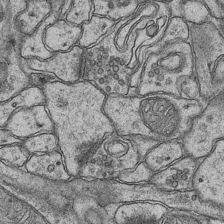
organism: Mouse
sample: CA1 Hippocampus